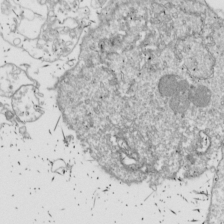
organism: Drosophila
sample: Cell division; meiosis; drosophila spermatocytes